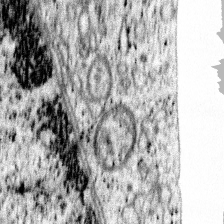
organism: Human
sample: HeLa cells